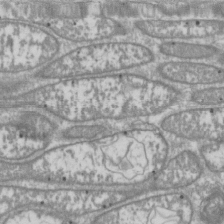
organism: Drosophila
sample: Cell division; meiosis; drosophila spermatocytes